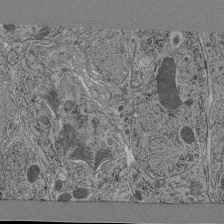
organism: C. elegans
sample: C. elegans pharynx